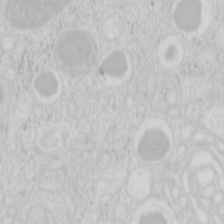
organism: Mouse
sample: Pancreas